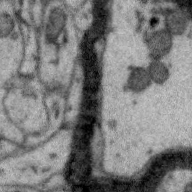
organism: Zebra finch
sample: Brain